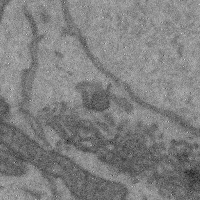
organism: Mouse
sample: Cerebral cortex